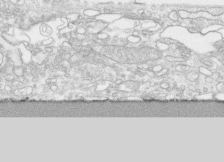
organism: Human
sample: CRL-1474